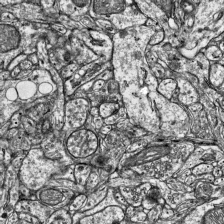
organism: Mouse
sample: Visual Cortex